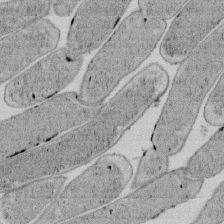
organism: E. coli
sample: Bacterial nucleoid